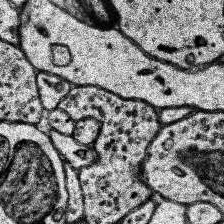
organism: Human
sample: Temporal Lobe